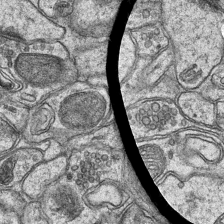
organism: Mouse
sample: CA1 Hippocampus